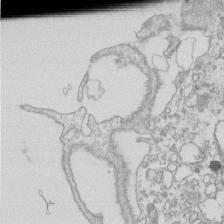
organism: Mouse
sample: Macrophages